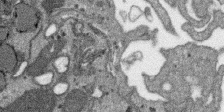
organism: Human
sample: Lung epithelial cells infected with SARS-CoV-2